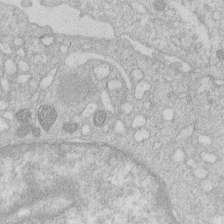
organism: Human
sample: Macrophage cells